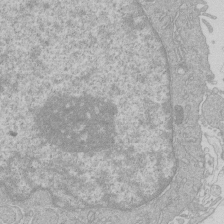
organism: Human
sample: Macrophage cells